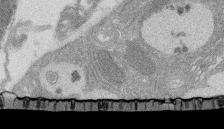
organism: Rat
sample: Salivary granule